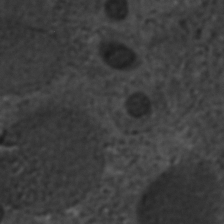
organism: C. elegans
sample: C. elegans embryo